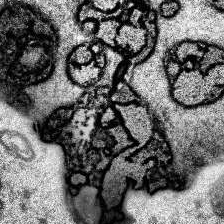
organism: Human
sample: Temporal Lobe